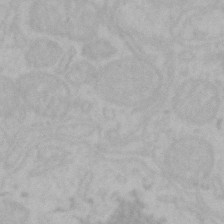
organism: Mouse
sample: Choroid plexus